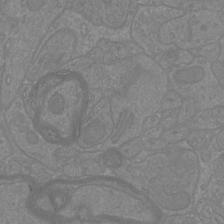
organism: Mouse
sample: Cortical neurons